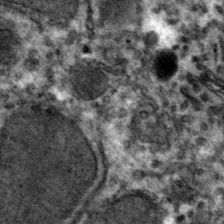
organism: Mouse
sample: Mouse hepatocytes